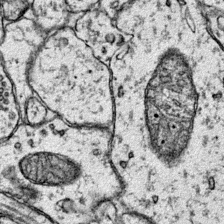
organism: Mouse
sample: Primary visual cortex